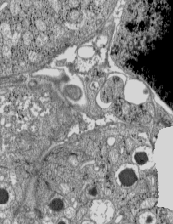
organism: C57BL Mouse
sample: Pancreatic islet